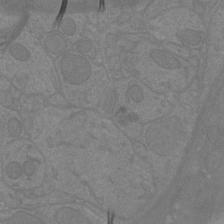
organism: Mouse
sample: Cortical neurons